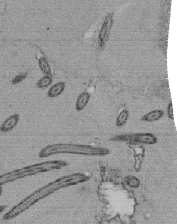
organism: Tetrahymena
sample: Cilia in tetrahymena